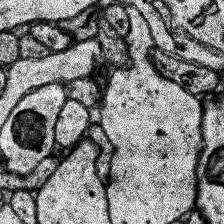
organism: Human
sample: Temporal Lobe